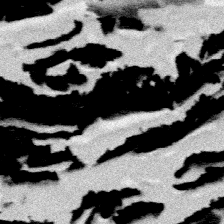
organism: Platynereis dumerilii